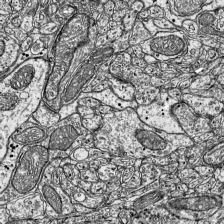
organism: Mouse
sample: Visual Cortex